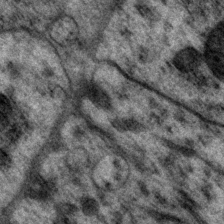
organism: P. pacificus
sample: Pharynx